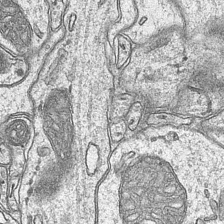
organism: Mouse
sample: CA1 Hippocampus